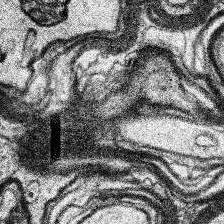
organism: Human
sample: Temporal Lobe